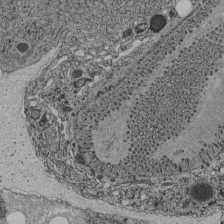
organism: C. elegans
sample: C. elegans pharynx